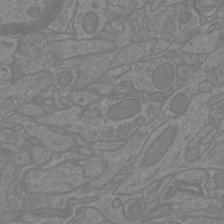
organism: Mouse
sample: Cortical neurons